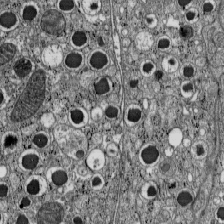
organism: C57BL Mouse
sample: Pancreatic islet